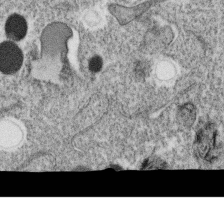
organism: C. elegans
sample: C. elegans oocyte; sperm cells